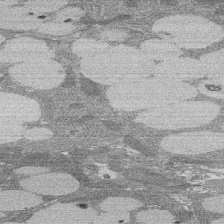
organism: Rat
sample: Salivary granule